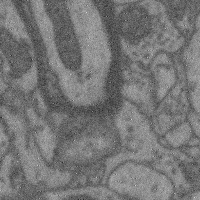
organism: Mouse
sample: Cerebral cortex